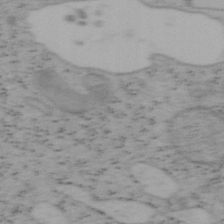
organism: Mouse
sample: OT-I killer T cells with ID8 ovarian cancer cells